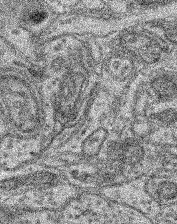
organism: Mouse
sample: Retina